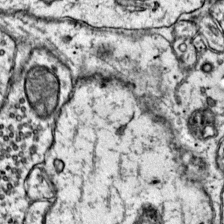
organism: Mouse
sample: Primary visual cortex